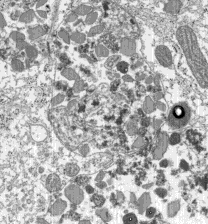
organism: C57BL Mouse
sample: Pancreatic islet